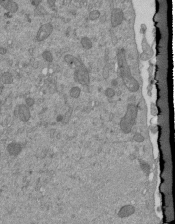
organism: Mouse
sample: ED-1 cell nuclei; centrioles